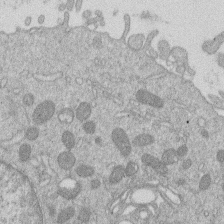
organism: Human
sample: Macrophage cells